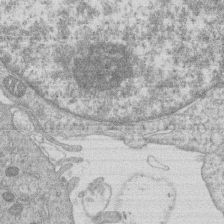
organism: Human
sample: Macrophage cells